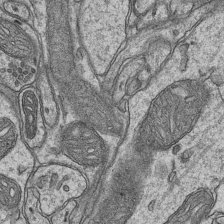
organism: Mouse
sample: CA1 Hippocampus